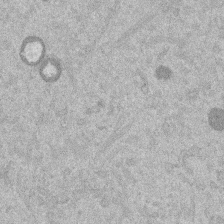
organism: Mouse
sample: Dividing mouse embryo 1 cell stage